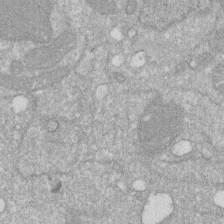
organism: Human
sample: HIV infected U937 cells